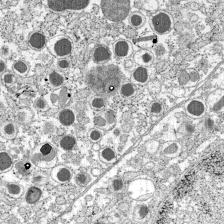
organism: C57BL Mouse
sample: Pancreatic islet